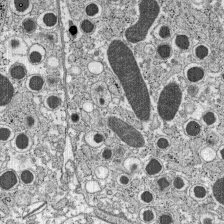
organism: C57BL Mouse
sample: Pancreatic islet